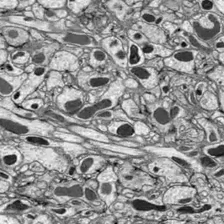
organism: Drosophila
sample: Optic lobe